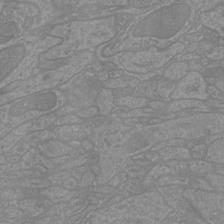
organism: Mouse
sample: Cortical neurons